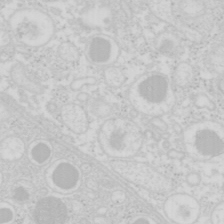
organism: Mouse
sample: Pancreas